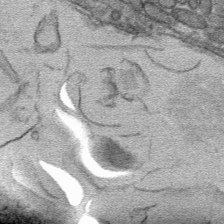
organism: Mouse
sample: Mouse hepatocytes